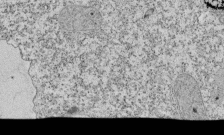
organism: Tetrahymena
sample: Cilia in tetrahymena